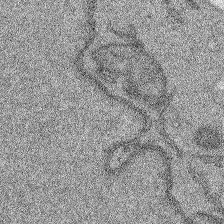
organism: Human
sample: HeLa cells